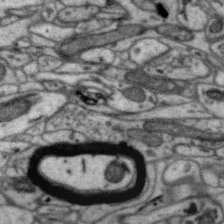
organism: Zebra finch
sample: Brain